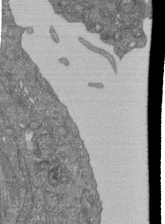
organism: Human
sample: Retinal organoid Rod and Cone cells